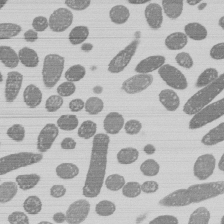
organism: E. coli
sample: Bacterial nucleoid